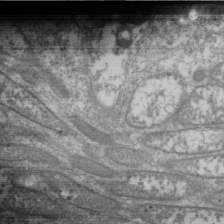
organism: Drosophila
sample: Cell division; meiosis; drosophila spermatocytes